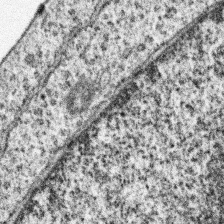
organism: Human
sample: HeLa cells